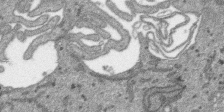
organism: Human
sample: Lung epithelial cells infected with SARS-CoV-2